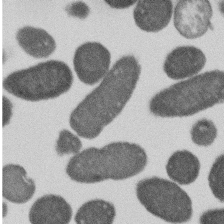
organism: E. coli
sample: Bacterial nucleoid